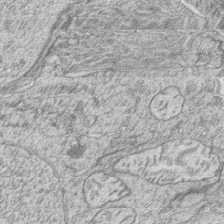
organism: Zebrafish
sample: synaptic ribbons in rod cells and cone cells